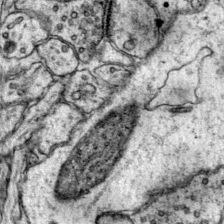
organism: Mouse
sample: Primary visual cortex